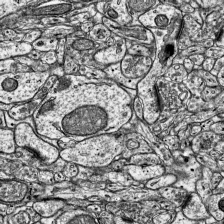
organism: Mouse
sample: Visual Cortex